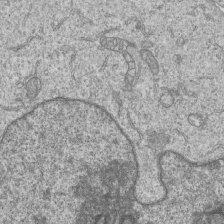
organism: Human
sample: MDA-MB-231 cells